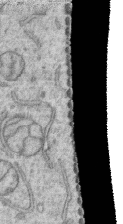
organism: Human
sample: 1205lu cells